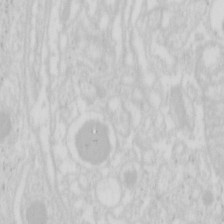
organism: Mouse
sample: Pancreas